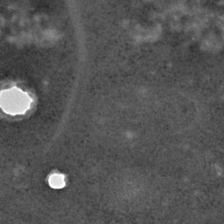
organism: C. elegans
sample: C. elegans embryo